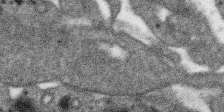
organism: Human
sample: Lung epithelial cells infected with SARS-CoV-2